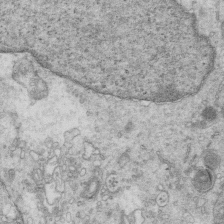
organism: Mouse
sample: Multiciliated cells